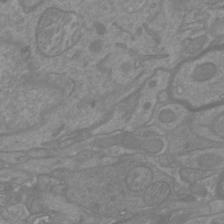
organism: Mouse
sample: Cortical neurons